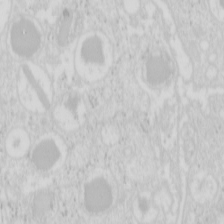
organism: Mouse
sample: Pancreas